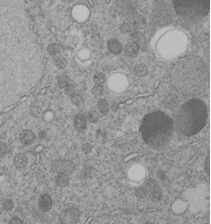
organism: C. elegans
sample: C. elegans embryo early stage